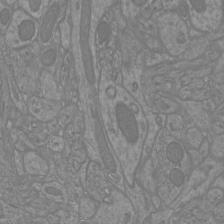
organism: Mouse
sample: Cortical neurons